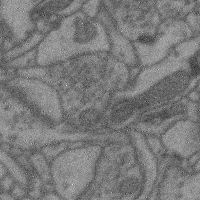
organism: Mouse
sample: Cerebral cortex